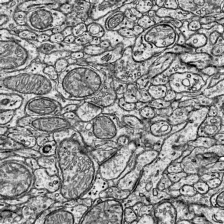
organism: Mouse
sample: Visual Cortex